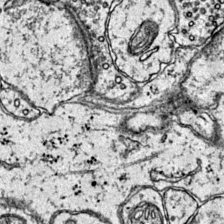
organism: Mouse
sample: Primary visual cortex